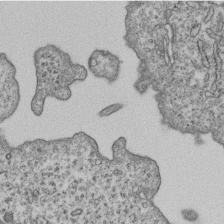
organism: Human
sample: MDA-MB-231 cells